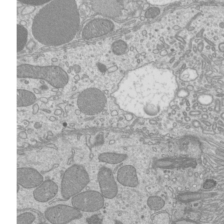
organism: Mouse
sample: Cilia; mouse epididymis